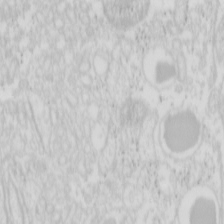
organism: Mouse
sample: Pancreas